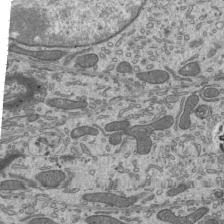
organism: Mouse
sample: Mouse epididymis efferent ductule cilia